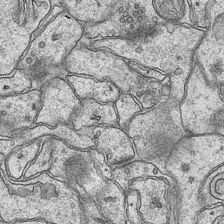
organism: Mouse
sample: CA1 Hippocampus